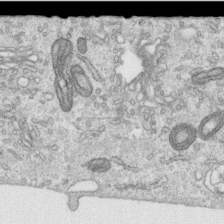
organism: Human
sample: Centriole in RPE cells